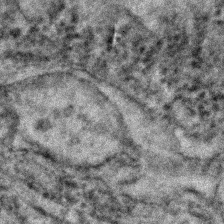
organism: C. elegans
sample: C. elegans embryo